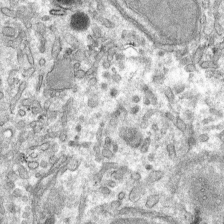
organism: Mouse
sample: Mouse hepatocytes